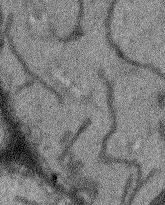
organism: Arabidopsis thaliana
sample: Root tip